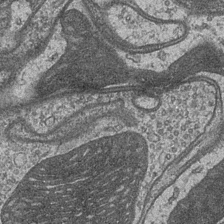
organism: Drosophila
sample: Optic medulla